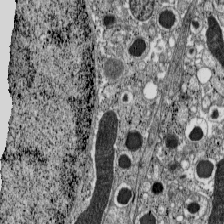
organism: C57BL Mouse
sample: Pancreatic islet